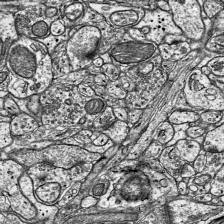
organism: Mouse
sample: Visual Cortex